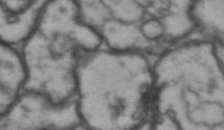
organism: Drosophila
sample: Brain